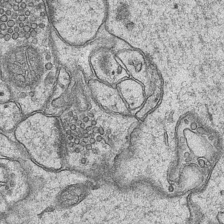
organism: Mouse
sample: CA1 Hippocampus